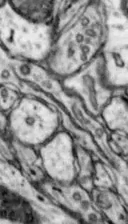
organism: Mouse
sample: Nucleus accumbens